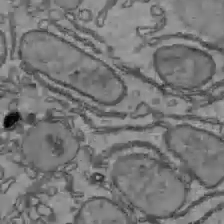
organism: C57BL Mouse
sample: Liver